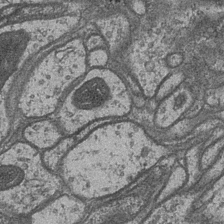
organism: Drosophila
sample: Optic medulla